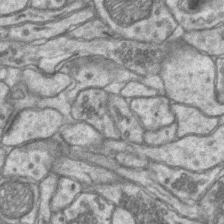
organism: Mouse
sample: CA1 Hippocampus